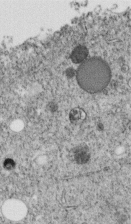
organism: C. elegans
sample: C. elegans embryo early stage